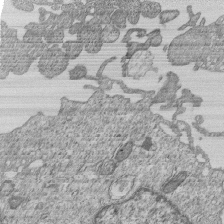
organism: Human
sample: MDA-MB-231 cells